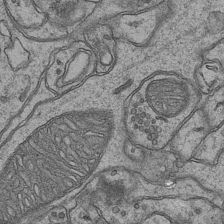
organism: Mouse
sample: CA1 Hippocampus